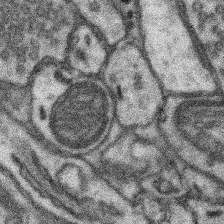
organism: Mouse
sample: Somatosensory cortex neuropil